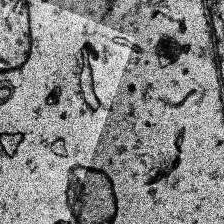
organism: Human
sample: Temporal Lobe